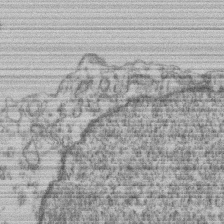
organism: Mouse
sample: T cell stromal cell synapse